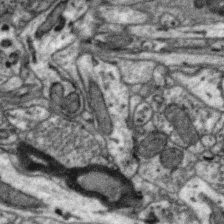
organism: Zebra finch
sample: Brain